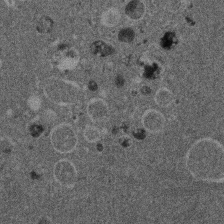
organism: Mouse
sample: Dividing mouse embryo 1 cell stage